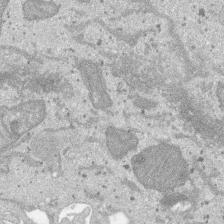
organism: Human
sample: Lung epithelial cells infected with SARS-CoV-2